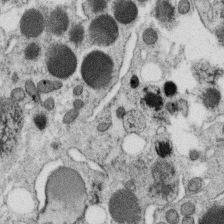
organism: C. elegans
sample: C. elegans oocyte; sperm cells